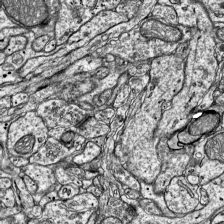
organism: Mouse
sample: Visual Cortex